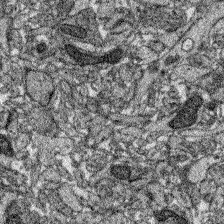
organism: Zebrafish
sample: Larval olfactory bulb